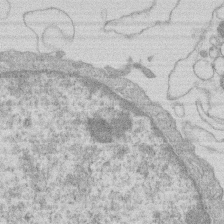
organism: Human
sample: Macrophage cells